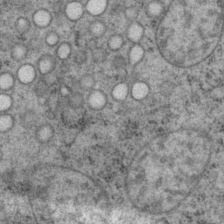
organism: P. pacificus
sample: Pharynx